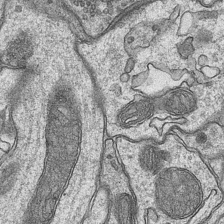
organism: Mouse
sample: CA1 Hippocampus